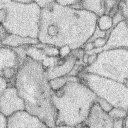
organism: Rabbit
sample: Retina